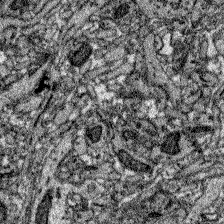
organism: Zebrafish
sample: Larval olfactory bulb